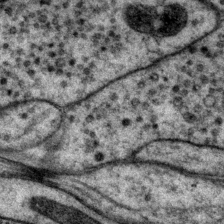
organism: P. pacificus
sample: Pharynx